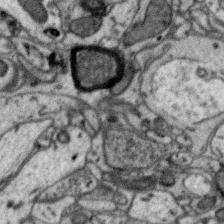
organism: Zebra finch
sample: Brain